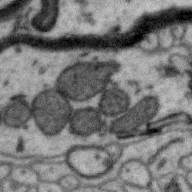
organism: Zebra finch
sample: Brain